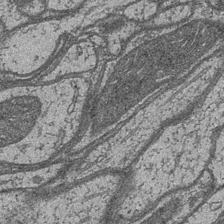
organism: Drosophila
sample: Optic medulla